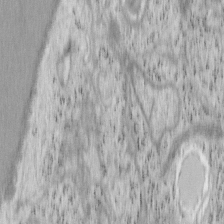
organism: Human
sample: HeLa cells